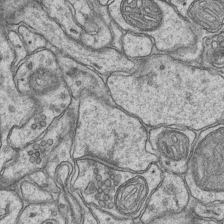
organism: Mouse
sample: CA1 Hippocampus